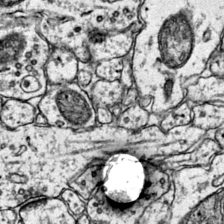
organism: Mouse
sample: Primary visual cortex